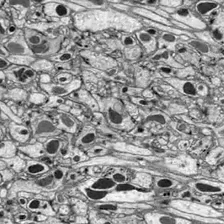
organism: Drosophila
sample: Optic lobe